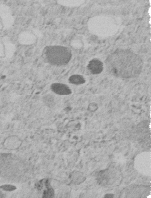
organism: C. elegans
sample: C. elegans embryo early stage